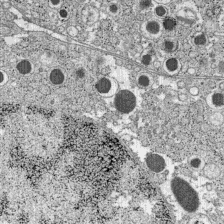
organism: C57BL Mouse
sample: Pancreatic islet